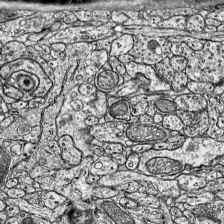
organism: Mouse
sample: Visual Cortex